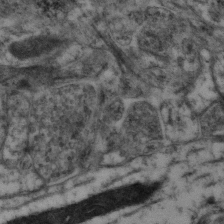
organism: Mouse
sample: Neocortex